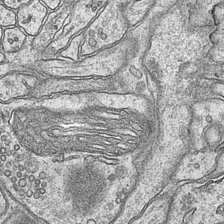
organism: Mouse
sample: CA1 Hippocampus